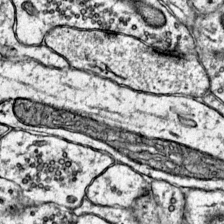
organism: Mouse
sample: Primary visual cortex